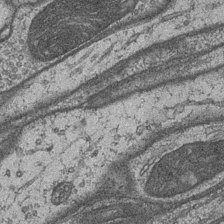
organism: Drosophila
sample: Optic medulla